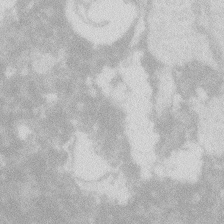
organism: Zebrafish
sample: Macrophage